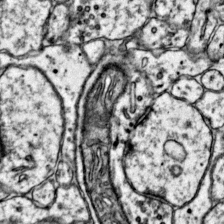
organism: Mouse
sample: Primary visual cortex